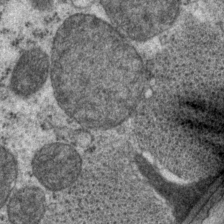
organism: P. pacificus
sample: Pharynx